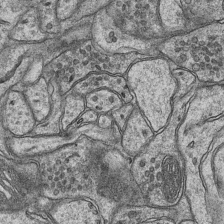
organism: Mouse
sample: CA1 Hippocampus